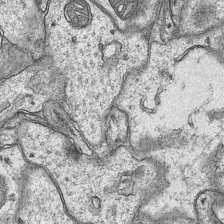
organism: Mouse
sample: CA1 Hippocampus